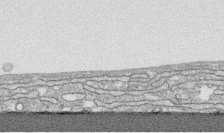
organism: Human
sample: CRL-1474